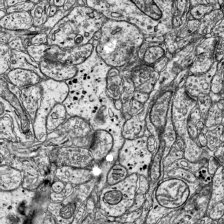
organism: Mouse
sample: Visual Cortex